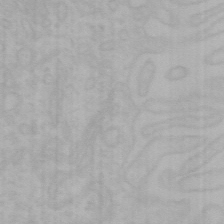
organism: Mouse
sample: Choroid plexus